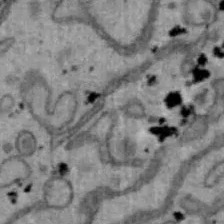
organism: Mouse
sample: Liver